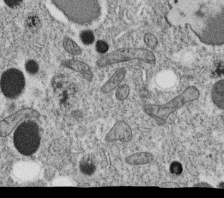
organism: C. elegans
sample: C. elegans oocyte; sperm cells